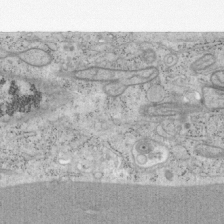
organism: Human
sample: HeLa cells